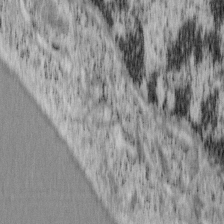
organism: Human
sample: HeLa cells